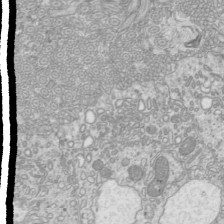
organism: Mouse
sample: Cilia; mouse epididymis